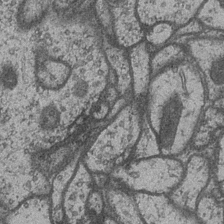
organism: Drosophila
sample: Optic medulla